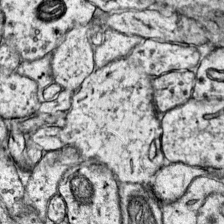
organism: Mouse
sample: Primary visual cortex